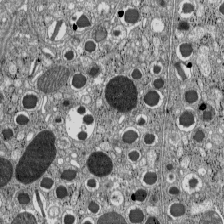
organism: C57BL Mouse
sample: Pancreatic islet